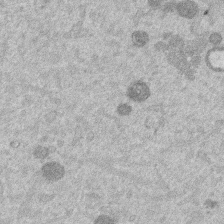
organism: Mouse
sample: Dividing mouse embryo 1 cell stage